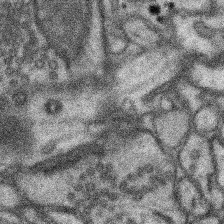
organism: Mouse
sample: Somatosensory cortex neuropil